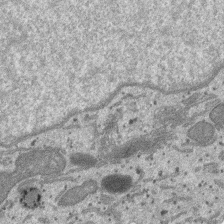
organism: Human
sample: Lung epithelial cells infected with SARS-CoV-2